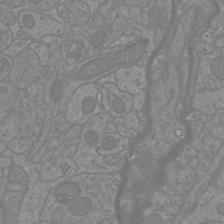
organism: Mouse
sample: Cortical neurons